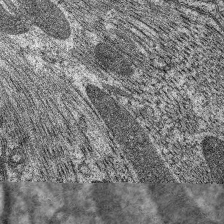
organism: C. elegans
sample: Pharynx